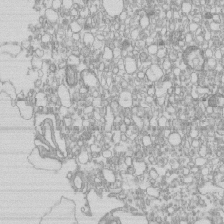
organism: Mouse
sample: Macrophages